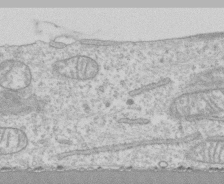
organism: Human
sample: CRL-1474